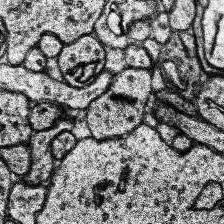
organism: Human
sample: Temporal Lobe